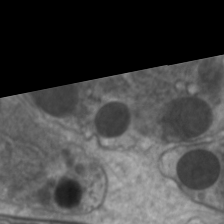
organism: C. elegans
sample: Pharynx